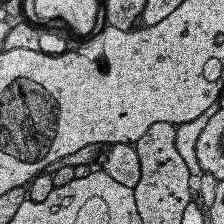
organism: Human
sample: Temporal Lobe